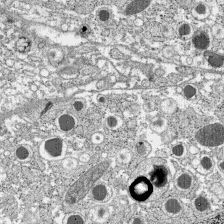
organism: C57BL Mouse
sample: Pancreatic islet